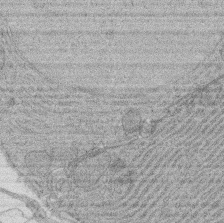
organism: Rat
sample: Salivary granule